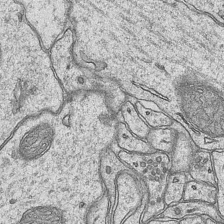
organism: Mouse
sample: CA1 Hippocampus